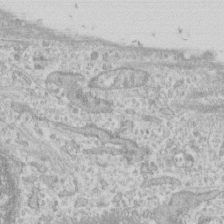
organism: Human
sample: CRL-1474